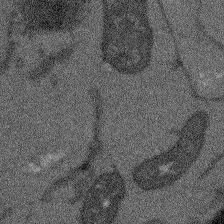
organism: Arabidopsis thaliana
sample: Root tip